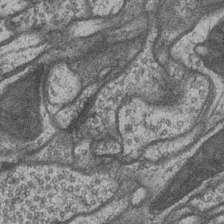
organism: Drosophila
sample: Optic medulla